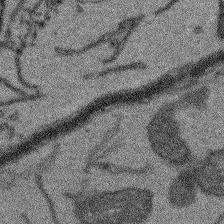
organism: Arabidopsis thaliana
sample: Root tip